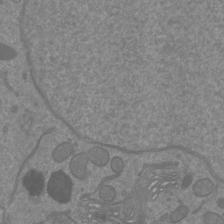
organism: Mouse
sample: Cortical neurons